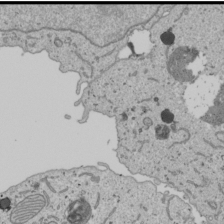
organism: Human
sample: Mitochondria in U2OS cells